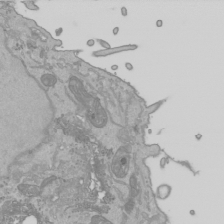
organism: Human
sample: Mitochondria in HCT116 cells